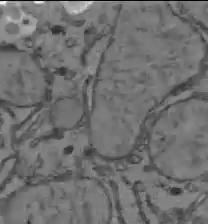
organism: C57BL Mouse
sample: Liver